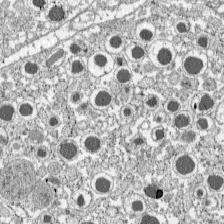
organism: C57BL Mouse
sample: Pancreatic islet